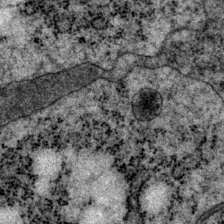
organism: P. pacificus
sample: Pharynx